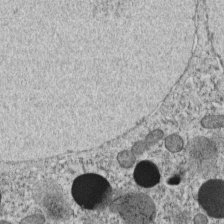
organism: C. elegans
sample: C. elegans embryo early stage